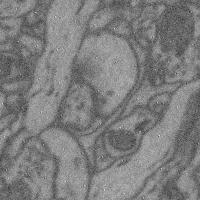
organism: Mouse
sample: Cerebral cortex